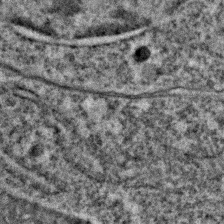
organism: C. elegans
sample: C. elegans embryo